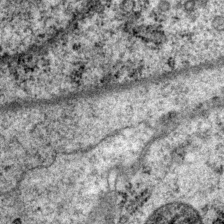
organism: P. pacificus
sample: Pharynx